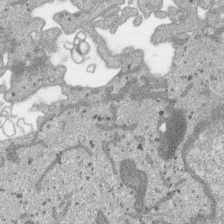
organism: Human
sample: Lung epithelial cells infected with SARS-CoV-2